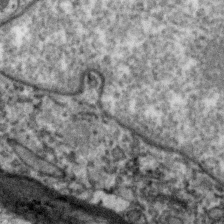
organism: Zebra finch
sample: Brain